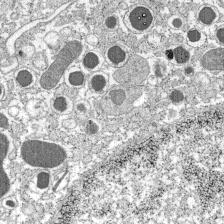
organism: C57BL Mouse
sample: Pancreatic islet